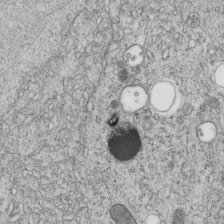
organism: C. elegans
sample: C. elegans embryo early stage